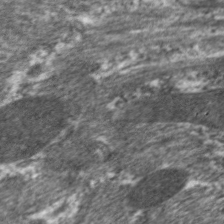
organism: C. elegans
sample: Pharynx